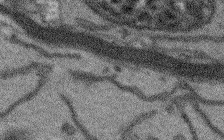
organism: Arabidopsis thaliana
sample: Root tip